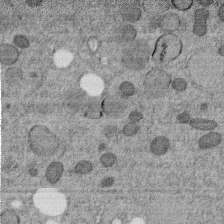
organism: C. elegans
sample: C. elegans embryo early stage